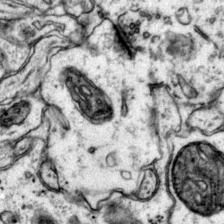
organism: Mouse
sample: Primary visual cortex